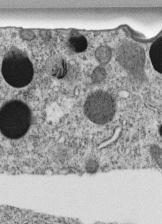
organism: C. elegans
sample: C. elegans embryo early stage